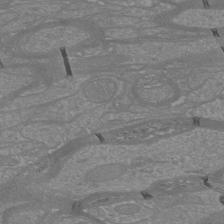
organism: Mouse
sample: Cortical neurons